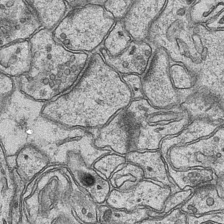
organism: Mouse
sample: CA1 Hippocampus